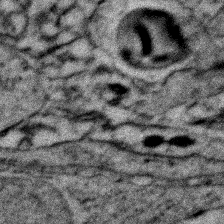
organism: Zebrafish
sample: Zebrafish embryo